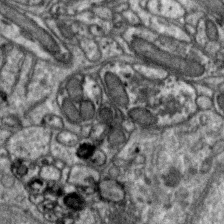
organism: Zebra finch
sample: Brain